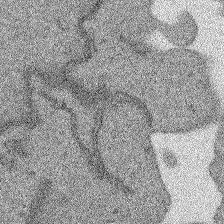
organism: Human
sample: HeLa cells